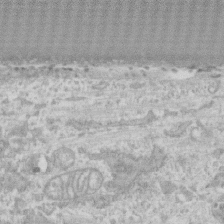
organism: Human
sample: CRL-1474